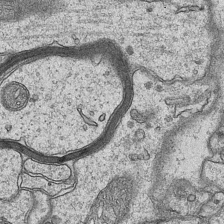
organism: Mouse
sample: CA1 Hippocampus